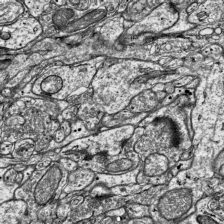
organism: Mouse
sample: Visual Cortex